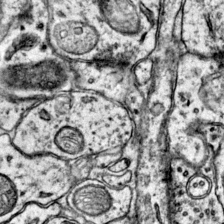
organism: Mouse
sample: Primary visual cortex